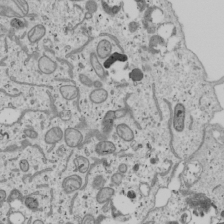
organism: Human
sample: Mitochondria in U2OS cells